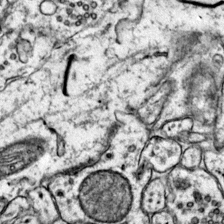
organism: Mouse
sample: Primary visual cortex